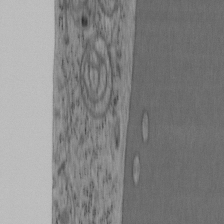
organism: Human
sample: HeLa cells